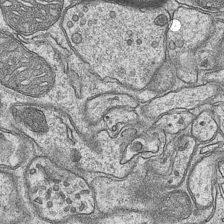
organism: Mouse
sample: CA1 Hippocampus